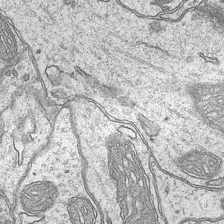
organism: Mouse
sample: CA1 Hippocampus